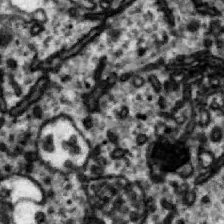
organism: Human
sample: HeLa cells